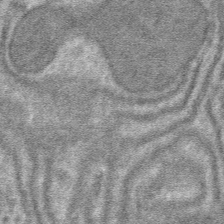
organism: Mouse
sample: Mouse hepatocytes